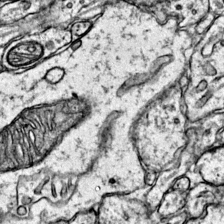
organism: Mouse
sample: Primary visual cortex